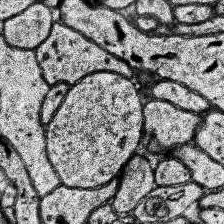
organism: Human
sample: Temporal Lobe